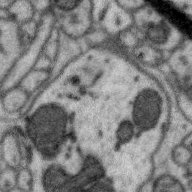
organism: Zebra finch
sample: Brain